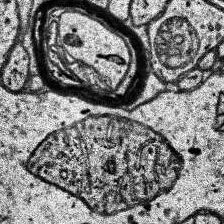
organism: Human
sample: Temporal Lobe